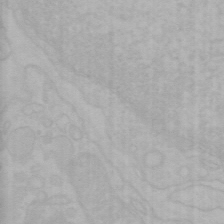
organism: Mouse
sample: Choroid plexus